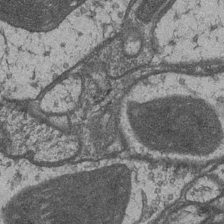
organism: Drosophila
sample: Optic medulla